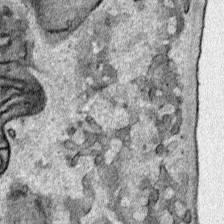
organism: Human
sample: Mitochondria in HCT116 cells